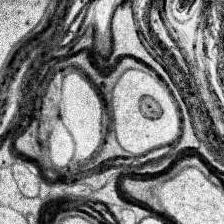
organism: Human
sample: Temporal Lobe